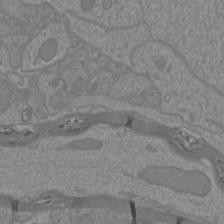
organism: Mouse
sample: Cortical neurons